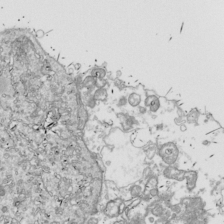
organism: Drosophila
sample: Cell division; meiosis; drosophila spermatocytes